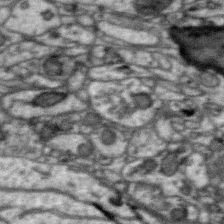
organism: Zebra finch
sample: Brain